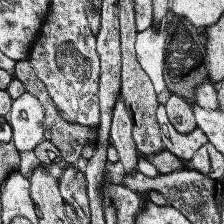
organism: Human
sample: Temporal Lobe